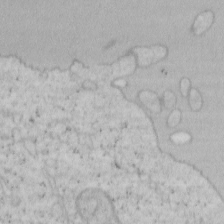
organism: Human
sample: HeLa cells